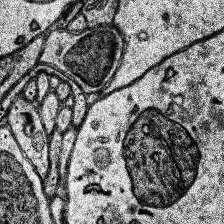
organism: Human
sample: Temporal Lobe